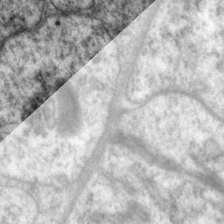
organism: P. pacificus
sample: Pharynx